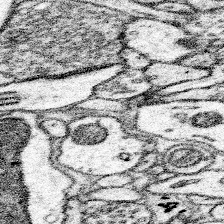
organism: Mouse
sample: Somatosensory cortex neuropil